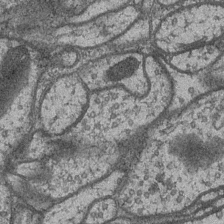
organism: Drosophila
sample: Optic medulla